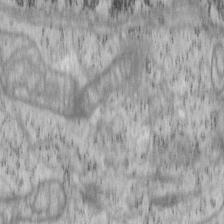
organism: Human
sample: HeLa cells